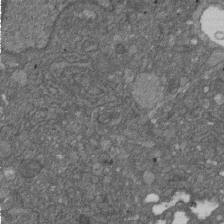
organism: Drosophila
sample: Nephrocyte